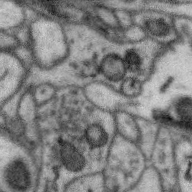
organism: Zebra finch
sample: Brain